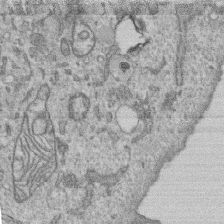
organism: Human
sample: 1205lu cells